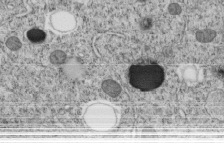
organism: C. elegans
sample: C. elegans embryo early stage